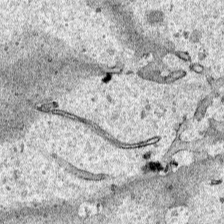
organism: Human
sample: Mitochondria in HCT116 cells